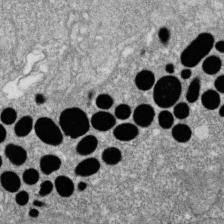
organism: Zebrafish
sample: Cilia; retinal pigment epithelium